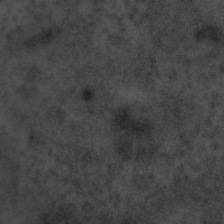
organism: Tuwongella immobilis